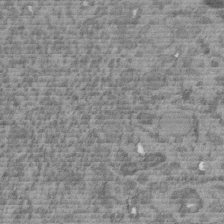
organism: C. elegans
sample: C. elegans embryo early stage